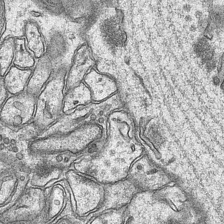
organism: Mouse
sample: CA1 Hippocampus